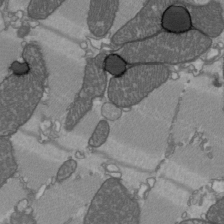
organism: C57BL Mouse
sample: Heart